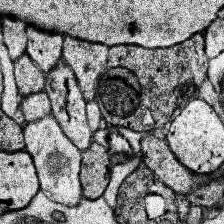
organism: Human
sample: Temporal Lobe